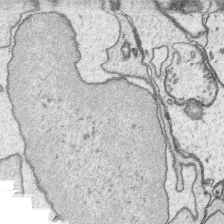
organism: Platynereis dumerilii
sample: Parapodia